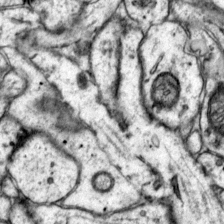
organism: Mouse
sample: Primary visual cortex